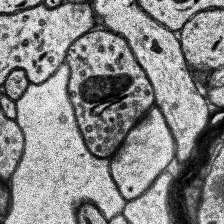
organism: Human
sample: Temporal Lobe